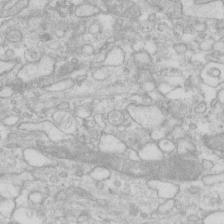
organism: Human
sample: Fibroblast cells